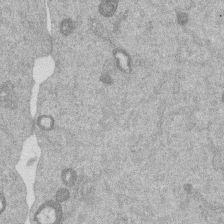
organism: Mouse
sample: Dividing mouse embryo 1 cell stage